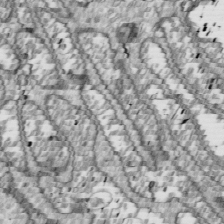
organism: Drosophila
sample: Cell division; meiosis; drosophila spermatocytes